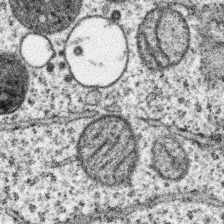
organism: Human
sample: HeLa cells